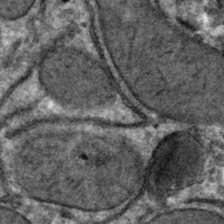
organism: Mouse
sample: Mouse hepatocytes